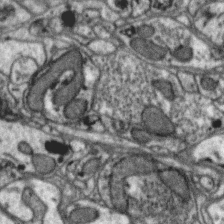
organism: Zebra finch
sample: Brain